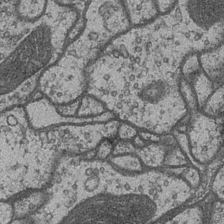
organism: Drosophila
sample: Optic medulla